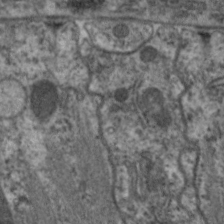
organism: C. elegans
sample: Pharynx